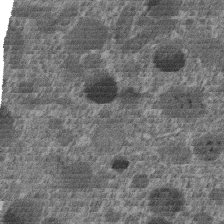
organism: C. elegans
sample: C. elegans embryo early stage